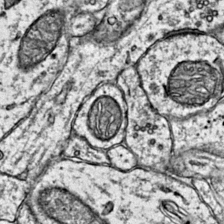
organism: Mouse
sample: Primary visual cortex